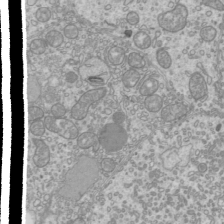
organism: Mouse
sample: Cilia; mouse epididymis